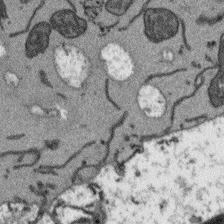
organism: Arabidopsis thaliana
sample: Root tip